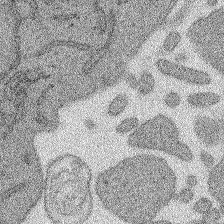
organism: Human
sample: HeLa cells